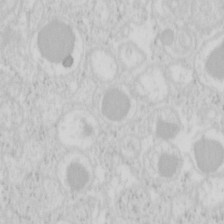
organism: Mouse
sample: Pancreas